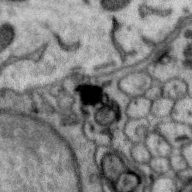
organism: Zebra finch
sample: Brain